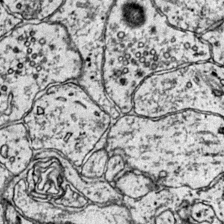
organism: Mouse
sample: Primary visual cortex